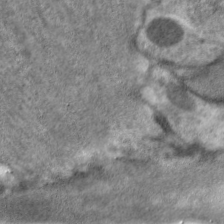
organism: C. elegans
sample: Pharynx